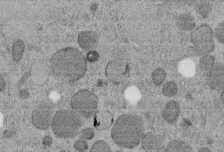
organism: C. elegans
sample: C. elegans embryo early stage